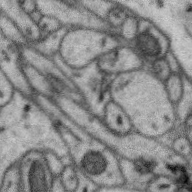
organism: Zebra finch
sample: Brain